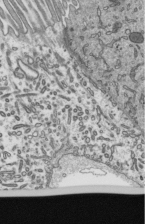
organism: Mouse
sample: Mouse epididymis efferent ductule cilia